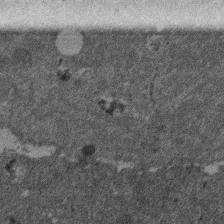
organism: Mouse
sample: Dividing mouse embryo 1 cell stage